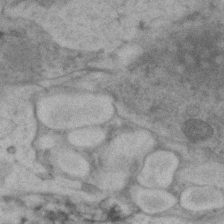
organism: Zebrafish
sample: Zebrafish embryo